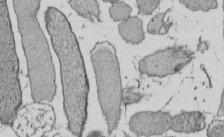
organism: E. coli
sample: Bacterial nucleoid